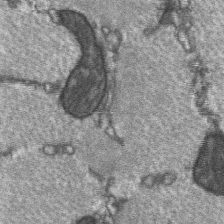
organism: C57BL Mouse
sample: Soleus